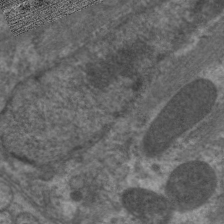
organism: C. elegans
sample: Pharynx